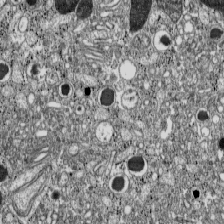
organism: C57BL Mouse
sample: Pancreatic islet